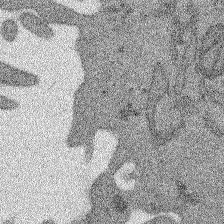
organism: Human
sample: HeLa cells